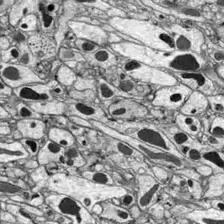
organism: Drosophila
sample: Optic lobe